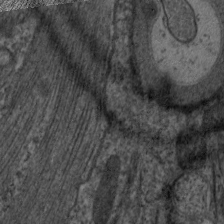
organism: C. elegans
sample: Pharynx